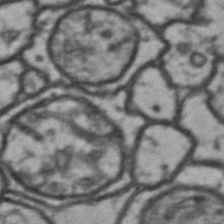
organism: Drosophila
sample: Brain